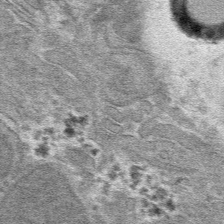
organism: Mouse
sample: Mouse hepatocytes